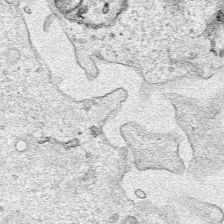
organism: Human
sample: Mitochondria in HCT116 cells